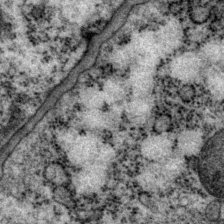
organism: P. pacificus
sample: Pharynx